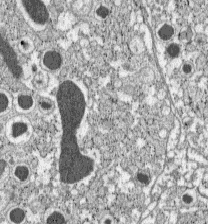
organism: C57BL Mouse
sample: Pancreatic islet